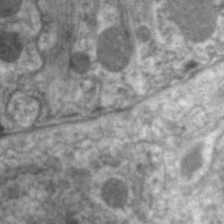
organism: C. elegans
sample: Pharynx